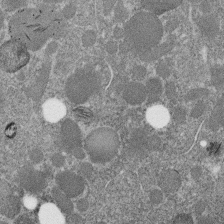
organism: C. elegans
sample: C. elegans embryo early stage